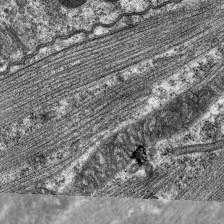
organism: C. elegans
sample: Pharynx